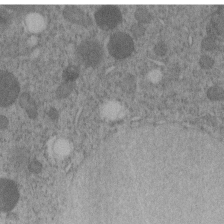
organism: C. elegans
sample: C. elegans embryo early stage